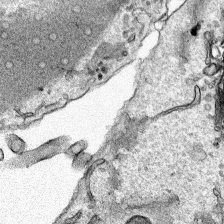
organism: Human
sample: Mitochondria in HCT116 cells